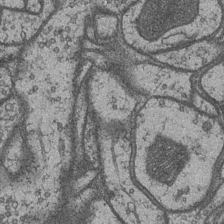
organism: Drosophila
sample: Optic medulla